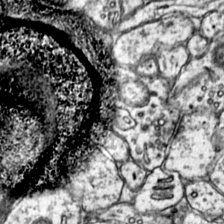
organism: Mouse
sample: Primary visual cortex